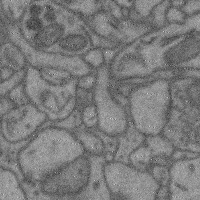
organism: Mouse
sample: Cerebral cortex